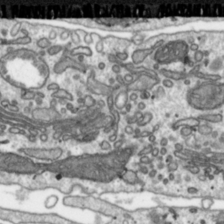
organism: Toxoplasma gondii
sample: Parasites in a vacuole inside a host cell